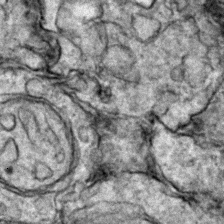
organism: Zebrafish